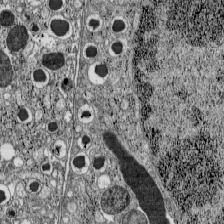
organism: C57BL Mouse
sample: Pancreatic islet